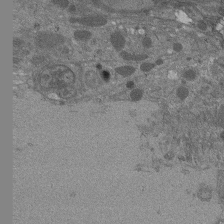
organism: Drosophila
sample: Antenna